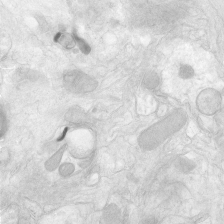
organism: Human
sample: Neocortex